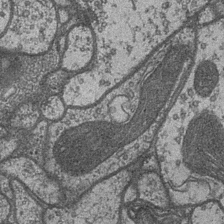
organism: Drosophila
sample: Optic medulla